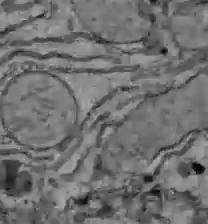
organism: C57BL Mouse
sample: Liver